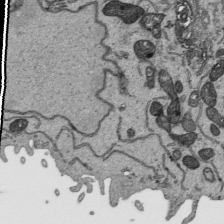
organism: Human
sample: Mitochondria in HCT116 cells